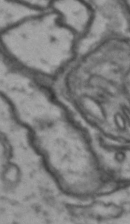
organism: Drosophila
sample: Brain